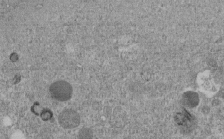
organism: C. elegans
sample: C. elegans embryo early stage